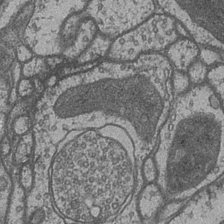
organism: Drosophila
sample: Optic medulla